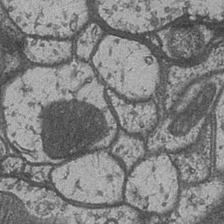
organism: Drosophila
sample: Optic medulla